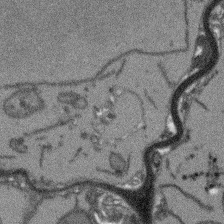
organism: Arabidopsis thaliana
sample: Root tip